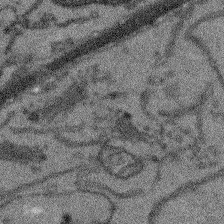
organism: Arabidopsis thaliana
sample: Root tip